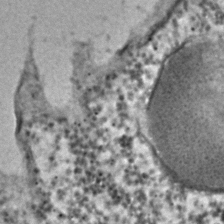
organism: C. elegans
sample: C. elegans embryo